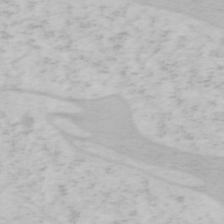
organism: Mouse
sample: OT-I killer T cells with ID8 ovarian cancer cells